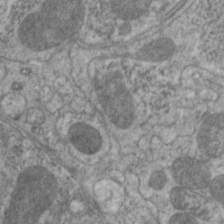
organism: C. elegans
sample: Pharynx